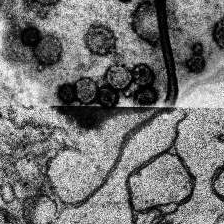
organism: Human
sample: Temporal Lobe